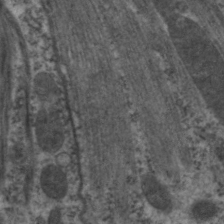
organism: C. elegans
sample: Pharynx